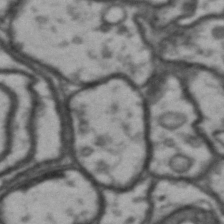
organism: Drosophila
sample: Brain